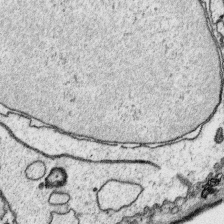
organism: Platynereis dumerilii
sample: Parapodia